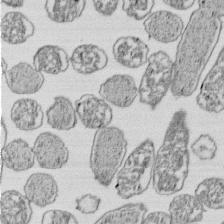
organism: E. coli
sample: Bacterial nucleoid